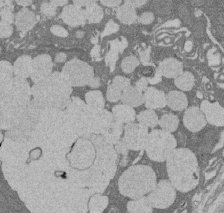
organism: Rat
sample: Salivary granule